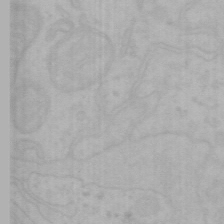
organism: Mouse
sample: Choroid plexus